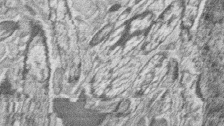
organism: Zebrafish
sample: synaptic ribbons in rod cells and cone cells